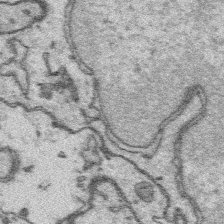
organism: Platynereis dumerilii